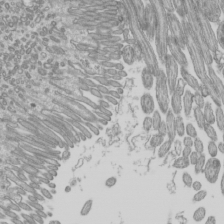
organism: Mouse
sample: Cilia; mouse epididymis